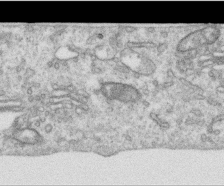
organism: Human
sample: Centriole in RPE cells